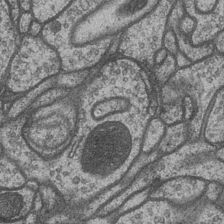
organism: Drosophila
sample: Optic medulla